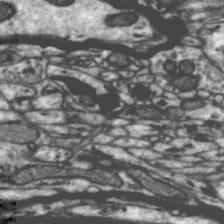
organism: Zebra finch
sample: Brain